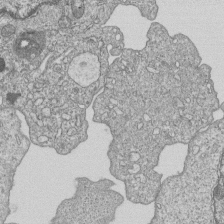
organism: Human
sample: MDA-MB-231 cells